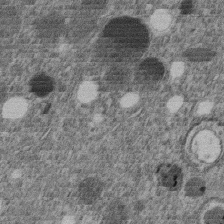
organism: C. elegans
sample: C. elegans embryo early stage